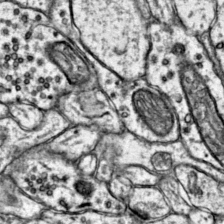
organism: Mouse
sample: Primary visual cortex